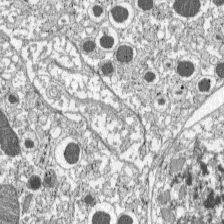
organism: C57BL Mouse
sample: Pancreatic islet